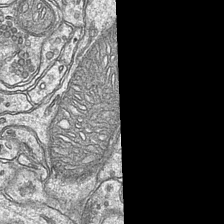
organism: Mouse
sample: CA1 Hippocampus